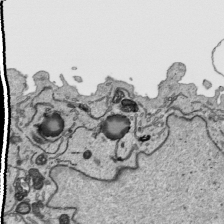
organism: Human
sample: Mitochondria in HCT116 cells